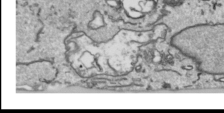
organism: Human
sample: Mitochondria in HCT116 cells